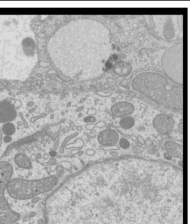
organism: Mouse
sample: Cilia; mouse epididymis